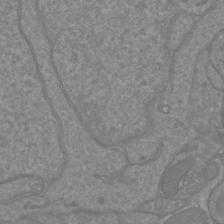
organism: Mouse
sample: Cortical neurons